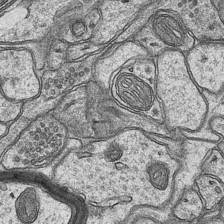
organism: Mouse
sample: CA1 Hippocampus